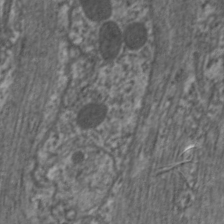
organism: C. elegans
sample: Pharynx